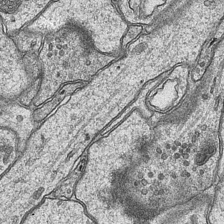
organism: Mouse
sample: CA1 Hippocampus